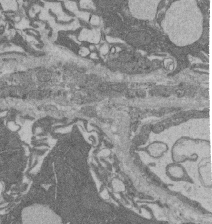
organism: Rat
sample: Salivary granule